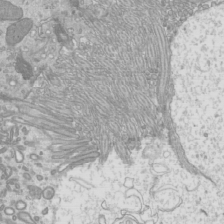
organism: Mouse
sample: Cilia; mouse epididymis